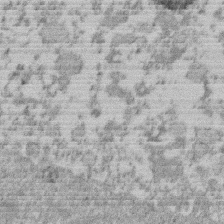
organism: Mouse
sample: Dividing mouse embryo 1 cell stage